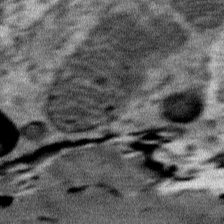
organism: Mouse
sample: Mouse Salivary gland